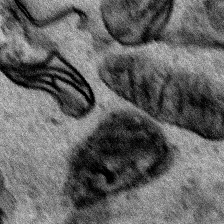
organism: Human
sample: Mitochondria in HCT116 cells